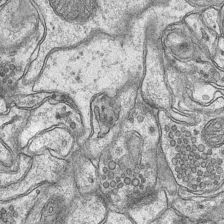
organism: Mouse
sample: CA1 Hippocampus